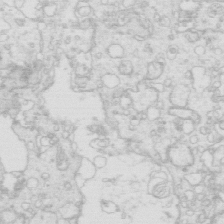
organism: Mouse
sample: Multiciliated cells